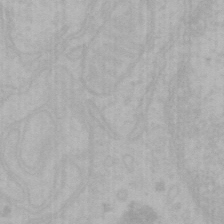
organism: Mouse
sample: Choroid plexus